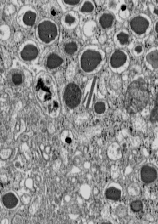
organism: C57BL Mouse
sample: Pancreatic islet